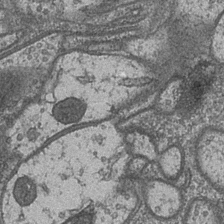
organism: Drosophila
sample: Optic medulla